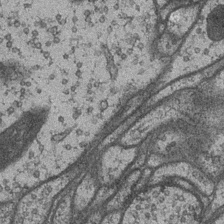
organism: Drosophila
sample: Optic medulla